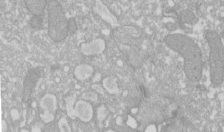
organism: Xenopus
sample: Cilia; centrioles in frog embryo cells